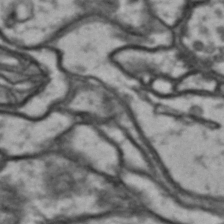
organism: Drosophila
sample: Brain